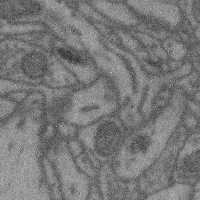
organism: Mouse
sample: Cerebral cortex